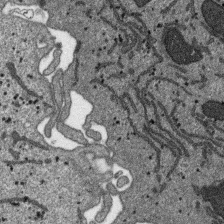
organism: Human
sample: Lung epithelial cells infected with SARS-CoV-2